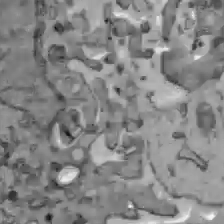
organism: C57BL Mouse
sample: Liver